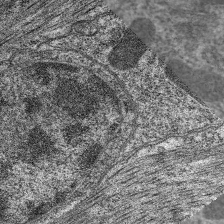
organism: C. elegans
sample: Pharynx